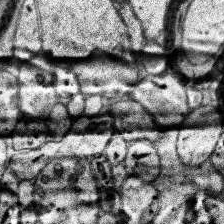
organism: Human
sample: Temporal Lobe